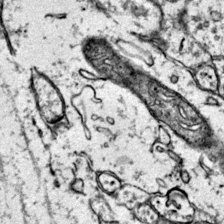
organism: Mouse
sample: Primary visual cortex